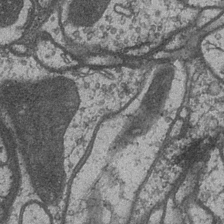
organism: Drosophila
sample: Optic medulla